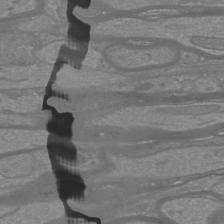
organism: Mouse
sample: Cortical neurons